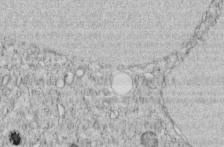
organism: C. elegans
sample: C. elegans embryo early stage